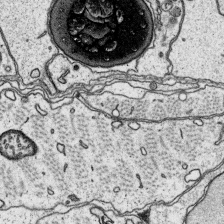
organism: Platynereis dumerilii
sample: Parapodia